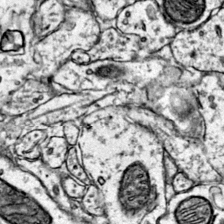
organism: Mouse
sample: Primary visual cortex